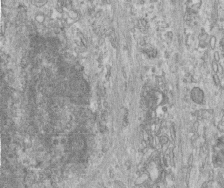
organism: Human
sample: Centriole in fibroblast cells